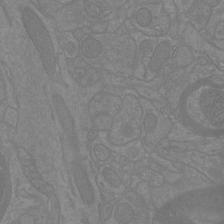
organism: Mouse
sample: Cortical neurons